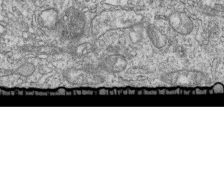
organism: Human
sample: HeLa cell HIV synapse